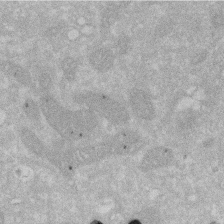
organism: Human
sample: HIV infected U937 cells